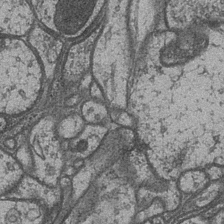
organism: Drosophila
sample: Optic medulla